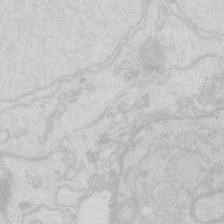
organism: Zebrafish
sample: Macrophage